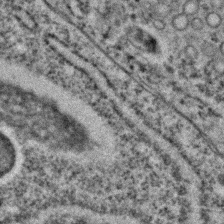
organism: C. elegans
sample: C. elegans embryo